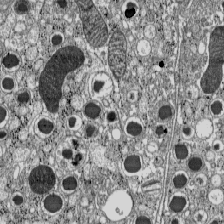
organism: C57BL Mouse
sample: Pancreatic islet